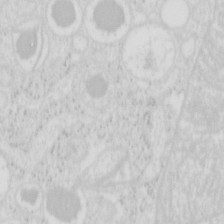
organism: Mouse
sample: Pancreas